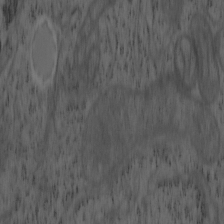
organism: Human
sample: HeLa cells